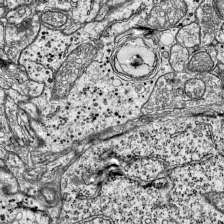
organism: Mouse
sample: Visual Cortex